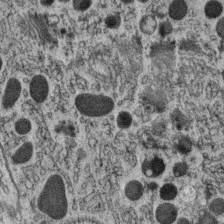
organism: C. elegans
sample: C. elegans oocyte; sperm cells